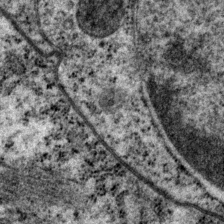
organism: P. pacificus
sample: Pharynx